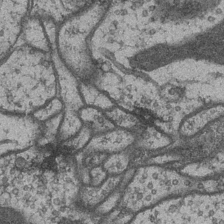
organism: Drosophila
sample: Optic medulla